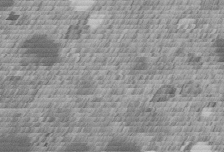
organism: C. elegans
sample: C. elegans embryo early stage